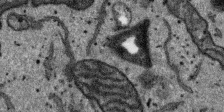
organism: Human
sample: Lung epithelial cells, uninfected (mock) control